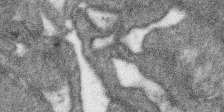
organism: Human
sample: Lung epithelial cells infected with SARS-CoV-2